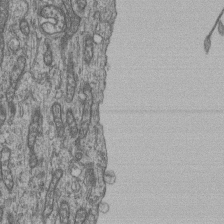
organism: Human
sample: Retinal organoid Rod and Cone cells